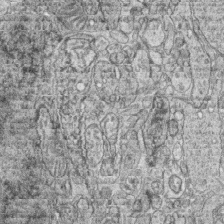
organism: Zebrafish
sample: synaptic ribbons in rod cells and cone cells